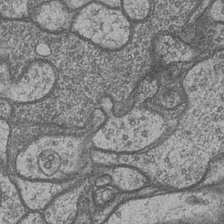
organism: Drosophila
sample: Optic medulla